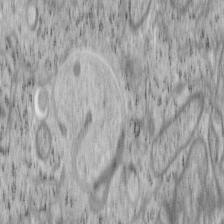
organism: Human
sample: HeLa cells